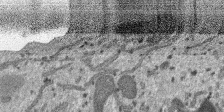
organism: Human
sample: Lung epithelial cells infected with SARS-CoV-2